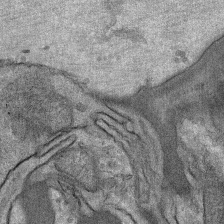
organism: Mouse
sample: Mouse Salivary gland